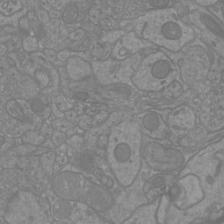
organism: Mouse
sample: Cortical neurons